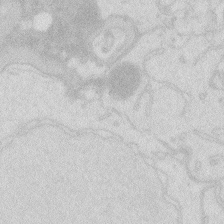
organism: Zebrafish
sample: Macrophage